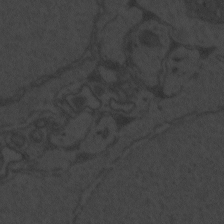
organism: Zebrafish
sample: Macrophage infected with Toxoplasma gondii